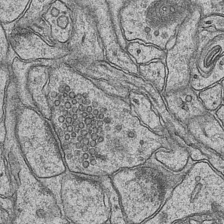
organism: Mouse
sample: CA1 Hippocampus